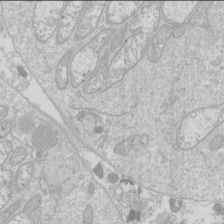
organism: Drosophila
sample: Cell division; meiosis; drosophila spermatocytes